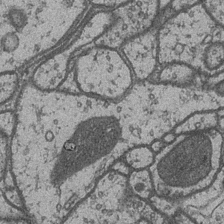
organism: Drosophila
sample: Optic medulla